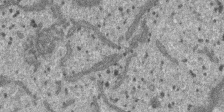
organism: Human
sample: Lung epithelial cells infected with SARS-CoV-2